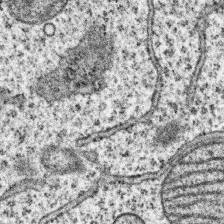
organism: Human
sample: HeLa cells